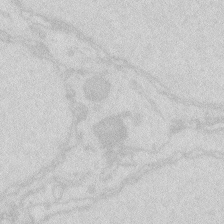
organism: Zebrafish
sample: Macrophage